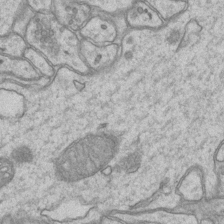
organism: Mouse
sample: CA1 Hippocampus